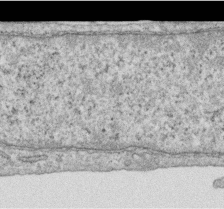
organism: Human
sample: Centriole in RPE cells